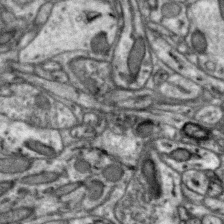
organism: Zebra finch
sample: Brain